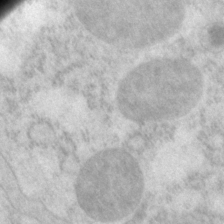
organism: P. pacificus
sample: Pharynx